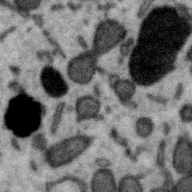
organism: Zebra finch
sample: Brain